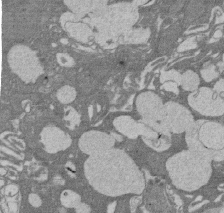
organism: Rat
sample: Salivary granule